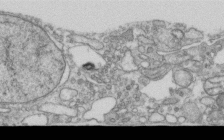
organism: Human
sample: Centriole in RPE cells